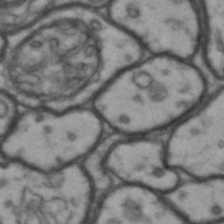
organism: Drosophila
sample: Brain